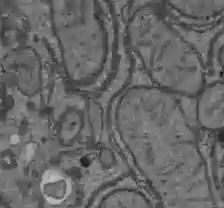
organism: C57BL Mouse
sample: Liver